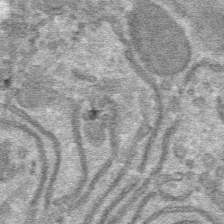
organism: Mouse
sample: Mouse hepatocytes